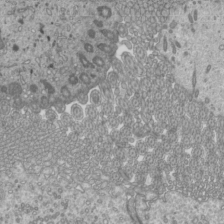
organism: Mouse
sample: Cilia; mouse epididymis